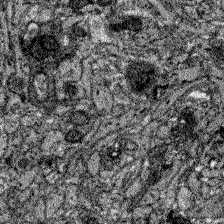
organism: Zebrafish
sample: Larval olfactory bulb